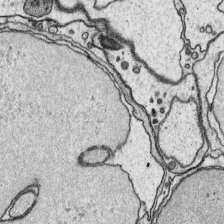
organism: Platynereis dumerilii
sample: Parapodia